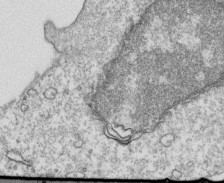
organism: Mouse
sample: Activated OT-1 CD8+ T cells